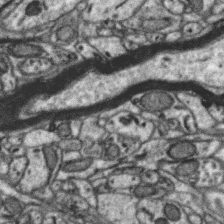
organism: Zebra finch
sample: Brain